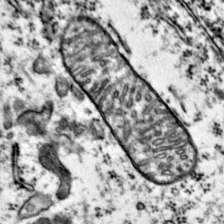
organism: Mouse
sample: Primary visual cortex